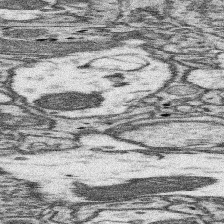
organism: Mouse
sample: Somatosensory cortex neuropil